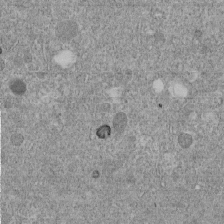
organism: C. elegans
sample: C. elegans embryo early stage